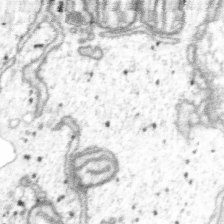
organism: Human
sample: HeLa cells